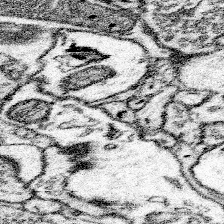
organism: Mouse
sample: Somatosensory cortex neuropil